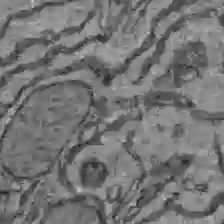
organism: C57BL Mouse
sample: Liver